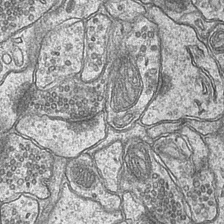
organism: Mouse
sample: CA1 Hippocampus